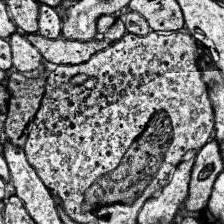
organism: Human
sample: Temporal Lobe